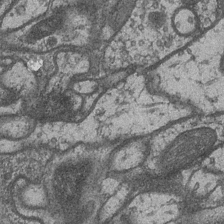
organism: Drosophila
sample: Optic medulla